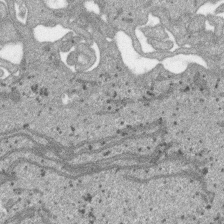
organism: Human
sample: Lung epithelial cells infected with SARS-CoV-2